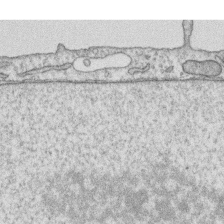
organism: Human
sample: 1205lu cells